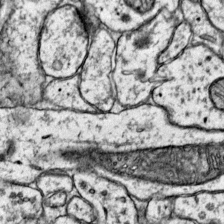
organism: Mouse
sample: Primary visual cortex